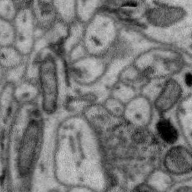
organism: Zebra finch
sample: Brain